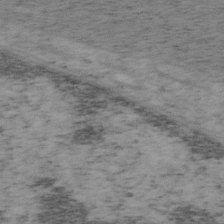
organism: Mouse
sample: OT-I killer T cells with ID8 ovarian cancer cells